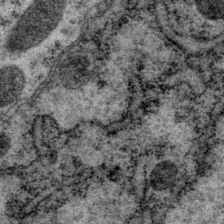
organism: P. pacificus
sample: Pharynx